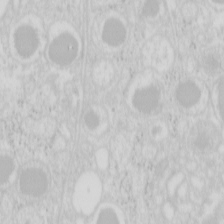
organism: Mouse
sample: Pancreas